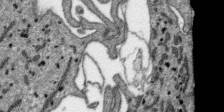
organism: Human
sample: Lung epithelial cells, uninfected (mock) control